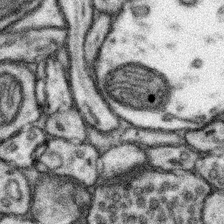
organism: Mouse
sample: Somatosensory cortex neuropil